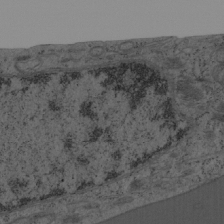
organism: Human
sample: HeLa cells